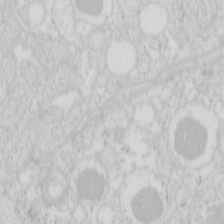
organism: Mouse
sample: Pancreas